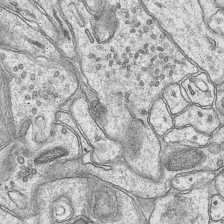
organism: Mouse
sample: CA1 Hippocampus